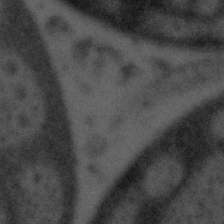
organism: Tuwongella immobilis